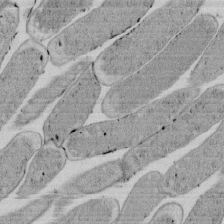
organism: E. coli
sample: Bacterial nucleoid